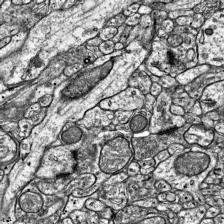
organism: Mouse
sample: Visual Cortex